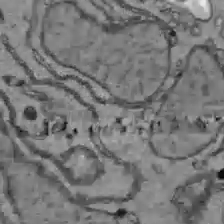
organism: C57BL Mouse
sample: Liver